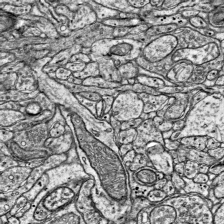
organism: Mouse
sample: Visual Cortex